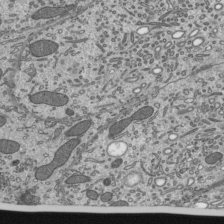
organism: Mouse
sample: Mouse epididymis efferent ductule cilia